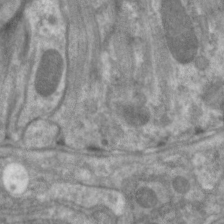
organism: C. elegans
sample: Pharynx